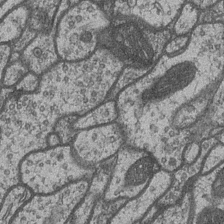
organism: Drosophila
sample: Optic medulla